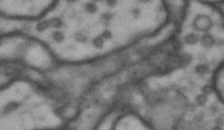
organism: Drosophila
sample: Brain